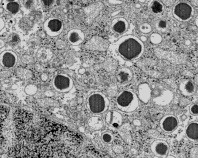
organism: C57BL Mouse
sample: Pancreatic islet